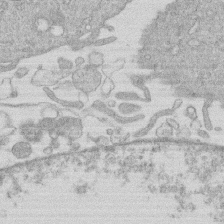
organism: Human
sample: Macrophage cells